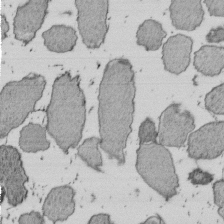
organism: E. coli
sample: Bacterial nucleoid